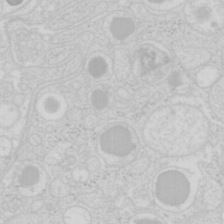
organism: Mouse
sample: Pancreas